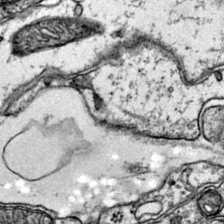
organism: Mouse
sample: Primary visual cortex